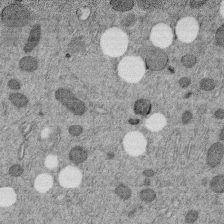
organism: C. elegans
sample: C. elegans embryo early stage